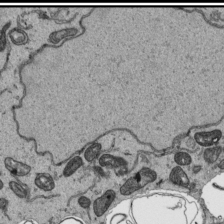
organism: Human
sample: Mitochondria in HCT116 cells